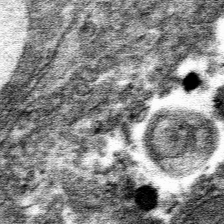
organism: Mouse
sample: Mouse hepatocytes